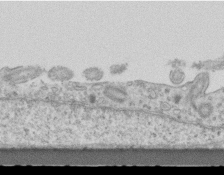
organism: Mouse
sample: Centriole in ependymal cells